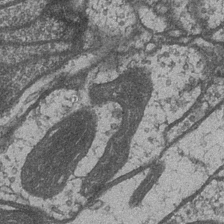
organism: Drosophila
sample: Optic medulla